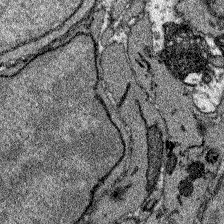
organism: Zebrafish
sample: Larval olfactory bulb